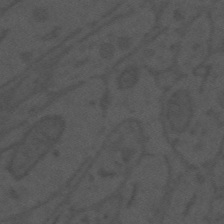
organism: Mouse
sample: Suprachiasmatic nucleus